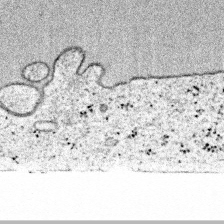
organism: Human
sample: HeLa cells